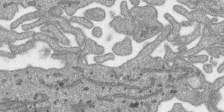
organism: Human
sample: Lung epithelial cells infected with SARS-CoV-2